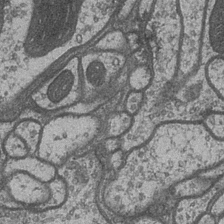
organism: Drosophila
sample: Optic medulla